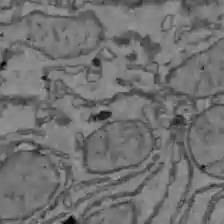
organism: C57BL Mouse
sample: Liver